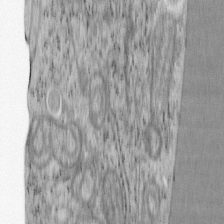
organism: Human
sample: HeLa cells